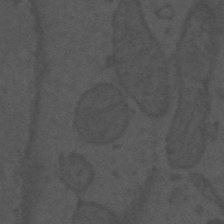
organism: Mouse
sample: Suprachiasmatic nucleus